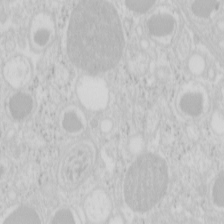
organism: Mouse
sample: Pancreas